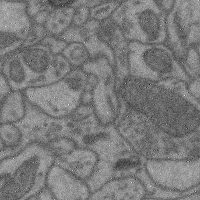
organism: Mouse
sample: Cerebral cortex